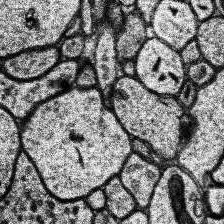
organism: Human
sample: Temporal Lobe